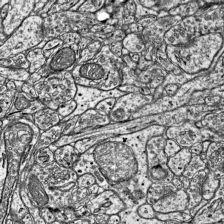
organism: Mouse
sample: Visual Cortex